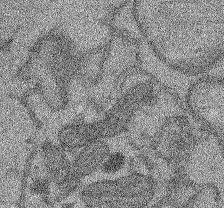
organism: Human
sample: HeLa cells